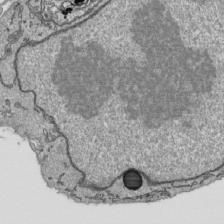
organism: Human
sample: Mitochondria in HCT116 cells